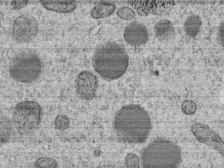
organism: C. elegans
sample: C. elegans embryo early stage